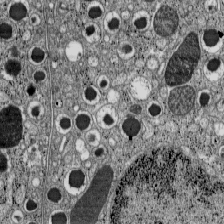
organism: C57BL Mouse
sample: Pancreatic islet